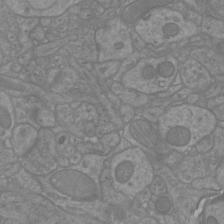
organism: Mouse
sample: Cortical neurons